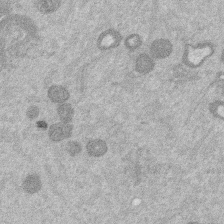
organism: Mouse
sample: Dividing mouse embryo 1 cell stage